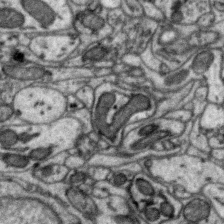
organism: Zebra finch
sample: Brain